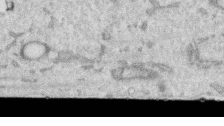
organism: Human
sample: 1205lu cells